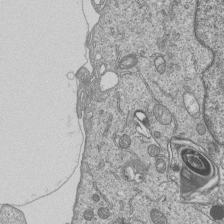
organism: Human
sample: MDA-MB-231 cells